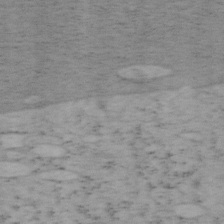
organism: Mouse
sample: OT-I killer T cells with ID8 ovarian cancer cells